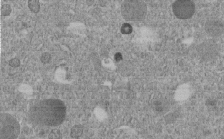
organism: C. elegans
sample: C. elegans embryo early stage